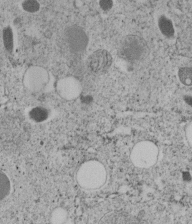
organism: C. elegans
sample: C. elegans embryo early stage